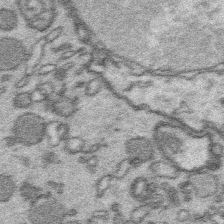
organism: Platynereis dumerilii